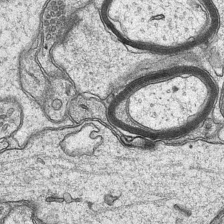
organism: Mouse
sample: CA1 Hippocampus